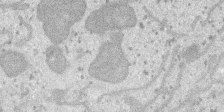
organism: Human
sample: Lung epithelial cells infected with SARS-CoV-2